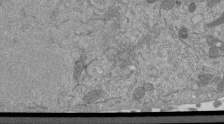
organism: Mouse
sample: ED-1 cell nuclei; centrioles